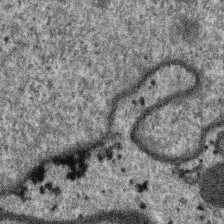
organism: Human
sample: Lung epithelial cells infected with SARS-CoV-2